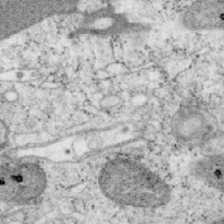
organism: Mouse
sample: OT-I killer T cells with ID8 ovarian cancer cells